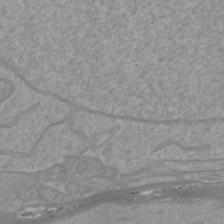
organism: Mouse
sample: Cortical neurons